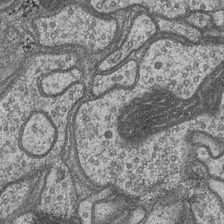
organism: Drosophila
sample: Optic medulla